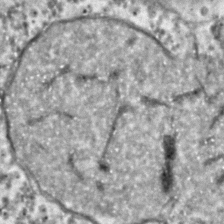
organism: C. elegans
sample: C. elegans embryo